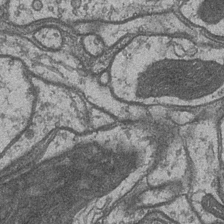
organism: Drosophila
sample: Optic medulla